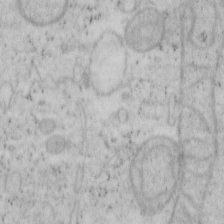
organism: Human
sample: HeLa cells